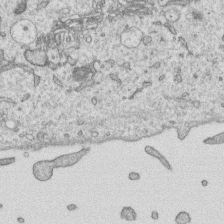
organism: Human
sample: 1205lu cells